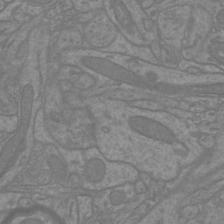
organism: Mouse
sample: Cortical neurons